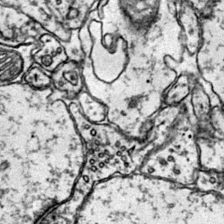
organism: Mouse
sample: Primary visual cortex